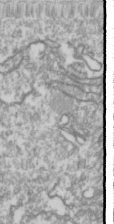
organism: Drosophila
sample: Cell division; meiosis; drosophila spermatocytes